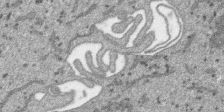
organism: Human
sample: Lung epithelial cells infected with SARS-CoV-2